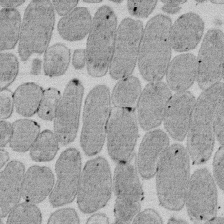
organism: E. coli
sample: Bacterial nucleoid